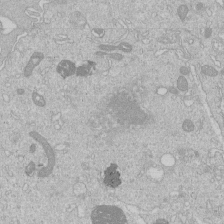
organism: Human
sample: Macrophage cells